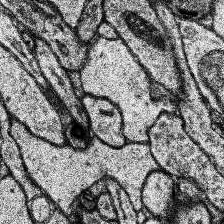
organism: Human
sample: Temporal Lobe